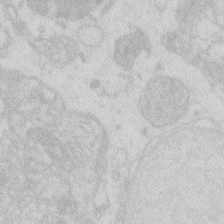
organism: Zebrafish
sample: Macrophage